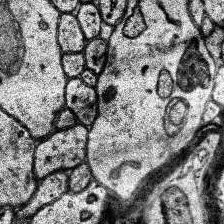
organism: Human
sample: Temporal Lobe